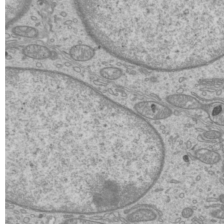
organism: Mouse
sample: Cilia; mouse epididymis